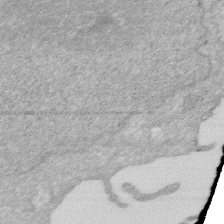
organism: Human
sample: HIV infected U937 cells